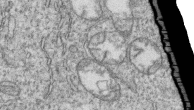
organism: Human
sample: HeLa cell HIV synapse